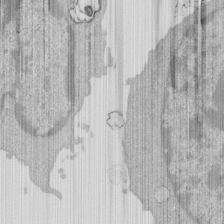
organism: Mouse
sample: Activated Pmel transgenic CD8+ T Cells